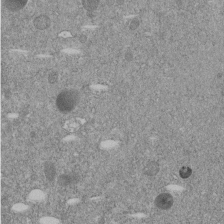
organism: C. elegans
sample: C. elegans embryo early stage